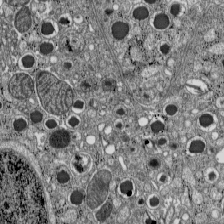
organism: C57BL Mouse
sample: Pancreatic islet